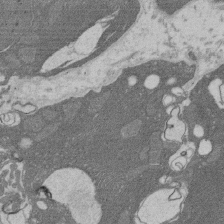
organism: Rat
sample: Salivary granule